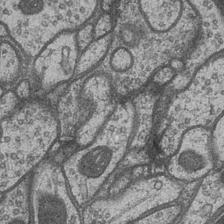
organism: Drosophila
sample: Optic medulla